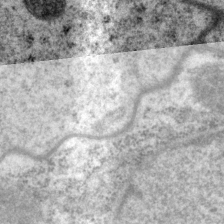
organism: P. pacificus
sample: Pharynx